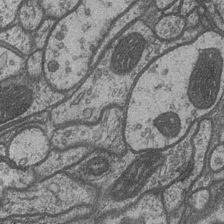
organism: Drosophila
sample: Optic medulla